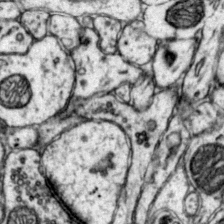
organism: Mouse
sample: Primary visual cortex